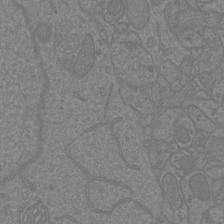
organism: Mouse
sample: Cortical neurons